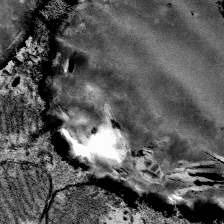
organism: Mouse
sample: Mouse Salivary gland